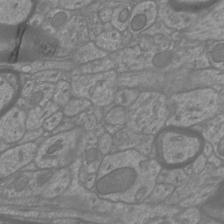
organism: Mouse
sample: Cortical neurons